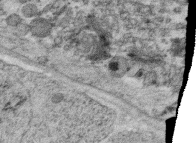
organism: C. elegans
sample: C. elegans oocyte; sperm cells